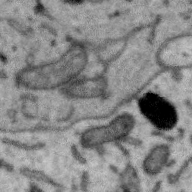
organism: Zebra finch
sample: Brain